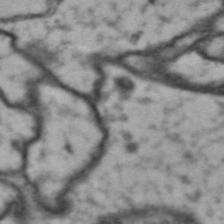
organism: Drosophila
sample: Brain